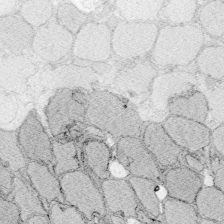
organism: Zebrafish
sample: Whole-Brain